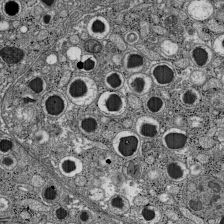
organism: C57BL Mouse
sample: Pancreatic islet